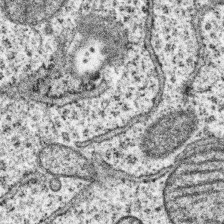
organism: Human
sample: HeLa cells